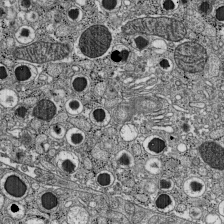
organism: C57BL Mouse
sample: Pancreatic islet